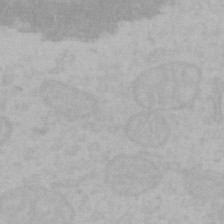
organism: Mouse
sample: Choroid plexus